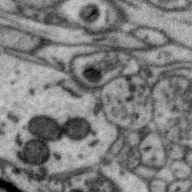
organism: Zebra finch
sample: Brain